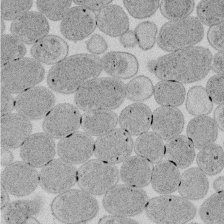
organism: E. coli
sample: Bacterial nucleoid